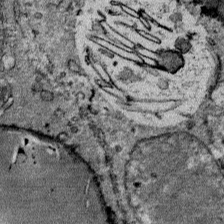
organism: Mouse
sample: Mouse Salivary gland